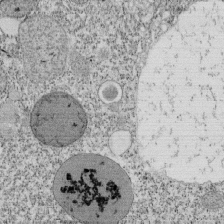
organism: Tetrahymena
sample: Cilia in tetrahymena